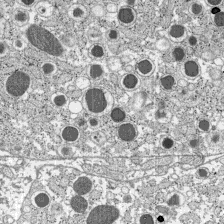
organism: C57BL Mouse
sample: Pancreatic islet